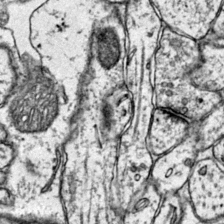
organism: Mouse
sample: Primary visual cortex